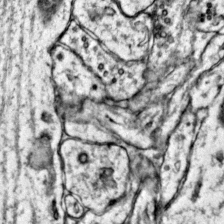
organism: Mouse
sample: Primary visual cortex